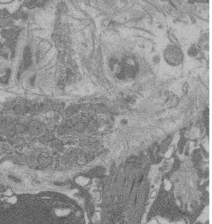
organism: Rat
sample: Salivary granule